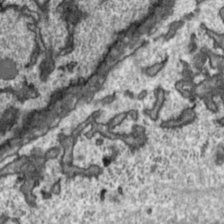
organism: Toxoplasma gondii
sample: Parasites in a vacuole inside a host cell